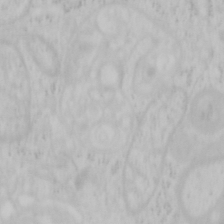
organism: Mouse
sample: OT-I killer T cells with ID8 ovarian cancer cells